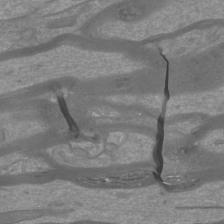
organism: Mouse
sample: Cortical neurons